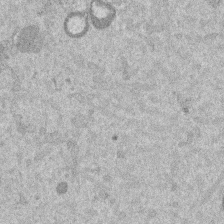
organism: Mouse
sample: Dividing mouse embryo 1 cell stage